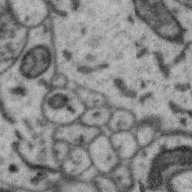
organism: Zebra finch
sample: Brain